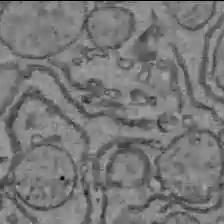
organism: C57BL Mouse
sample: Liver